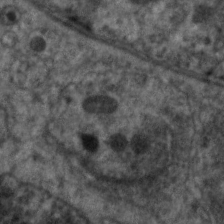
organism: C. elegans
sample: Pharynx